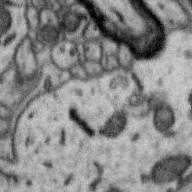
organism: Zebra finch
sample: Brain